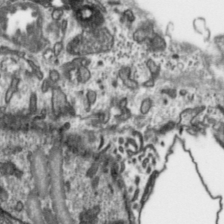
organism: Toxoplasma gondii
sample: Parasites in a vacuole inside a host cell